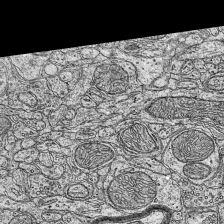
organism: Mouse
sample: Visual Cortex